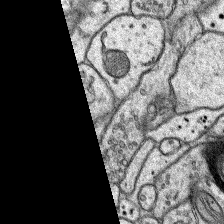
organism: Rat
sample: Hippocampus